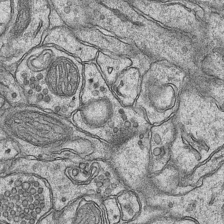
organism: Mouse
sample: CA1 Hippocampus